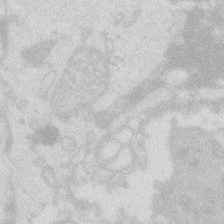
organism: Zebrafish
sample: Macrophage